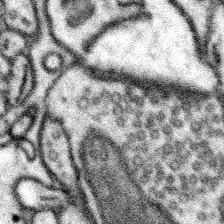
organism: Mouse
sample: Somatosensory cortex neuropil